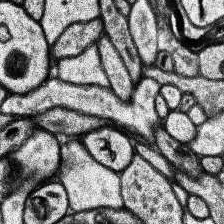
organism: Human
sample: Temporal Lobe